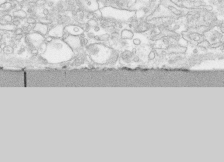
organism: Human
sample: CRL-1474